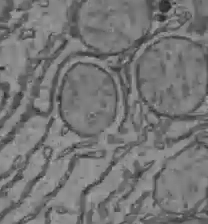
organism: C57BL Mouse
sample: Liver